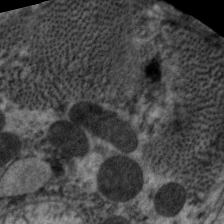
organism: C. elegans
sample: Pharynx